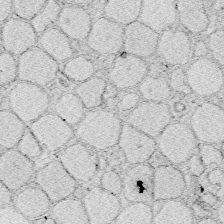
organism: Zebrafish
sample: Whole-Brain